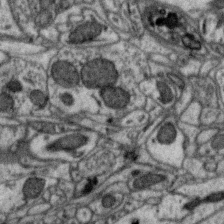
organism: Zebra finch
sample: Brain